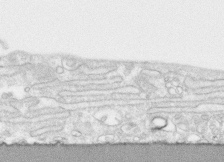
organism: Human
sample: CRL-1474